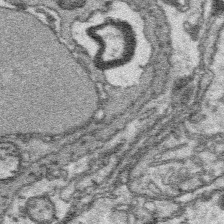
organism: Platynereis dumerilii